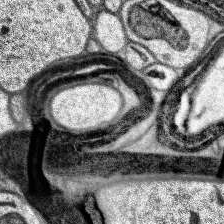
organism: Human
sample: Temporal Lobe